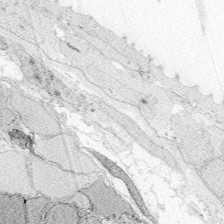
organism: Zebrafish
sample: Whole-Brain